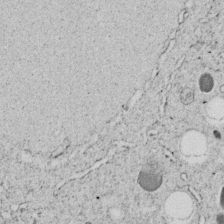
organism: C. elegans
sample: C. elegans embryo early stage